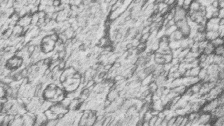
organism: Zebrafish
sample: synaptic ribbons in rod cells and cone cells